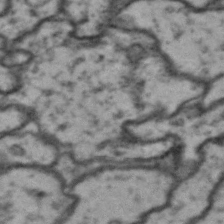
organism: Drosophila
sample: Brain